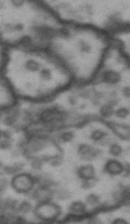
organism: Drosophila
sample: Brain